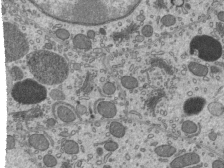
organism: Mouse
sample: Mouse epididymis efferent ductule cilia